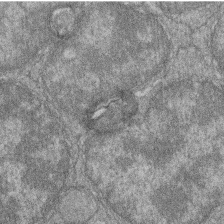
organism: Zebrafish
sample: Cilia; retinal pigment epithelium